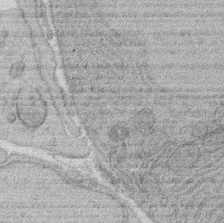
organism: Rat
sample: Salivary granule